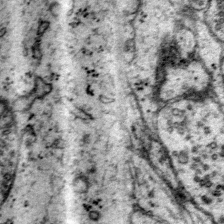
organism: Mouse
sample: Primary visual cortex